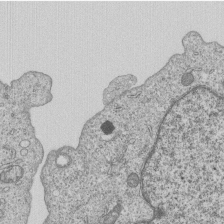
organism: Human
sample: MDA-MB-231 cells